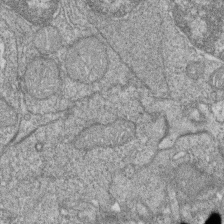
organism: Zebrafish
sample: Cilia; retinal pigment epithelium